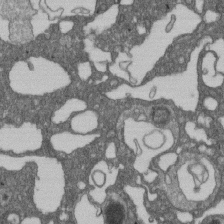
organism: Drosophila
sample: Nephrocyte